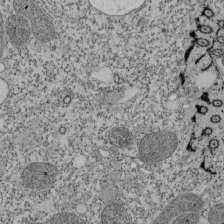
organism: Tetrahymena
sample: Cilia in tetrahymena